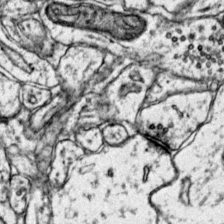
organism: Mouse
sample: Primary visual cortex